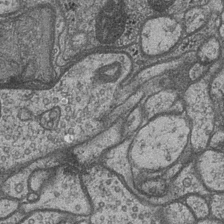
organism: Drosophila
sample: Optic medulla